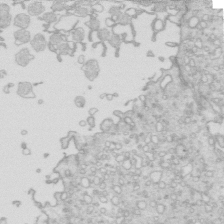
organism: Mouse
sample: Multiciliated cells